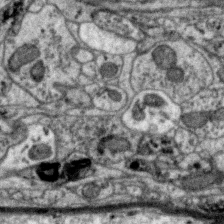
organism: Zebra finch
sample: Brain